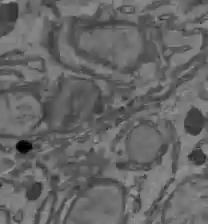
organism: C57BL Mouse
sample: Liver